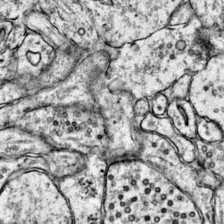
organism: Mouse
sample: Primary visual cortex